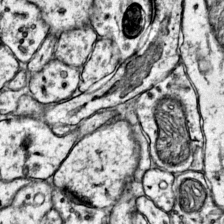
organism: Mouse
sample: Primary visual cortex